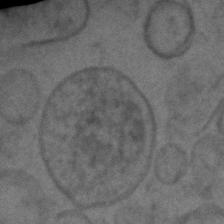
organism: C. elegans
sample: C. elegans embryo